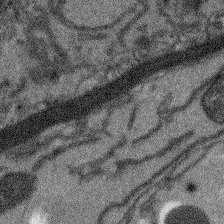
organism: Arabidopsis thaliana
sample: Root tip